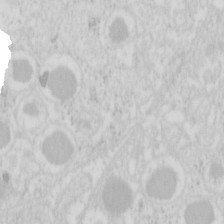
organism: Mouse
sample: Pancreas